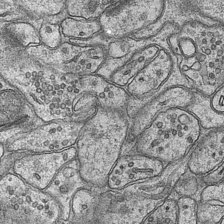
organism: Mouse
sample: CA1 Hippocampus